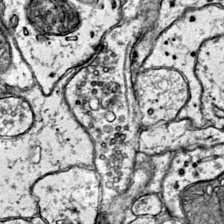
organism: Mouse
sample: Primary visual cortex